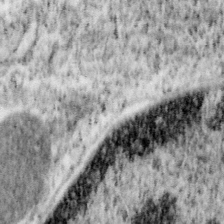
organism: Mouse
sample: OT-I killer T cells with ID8 ovarian cancer cells